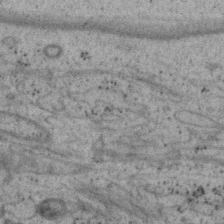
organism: Human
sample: HeLa cells